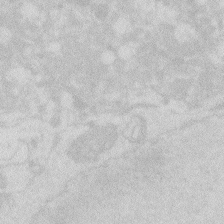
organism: Zebrafish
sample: Macrophage